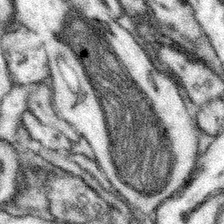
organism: Mouse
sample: Somatosensory cortex neuropil